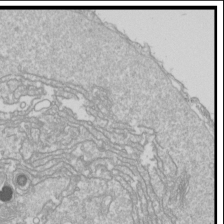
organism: Drosophila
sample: Cell division; meiosis; drosophila spermatocytes